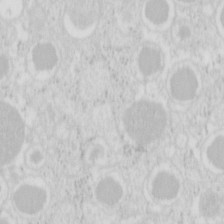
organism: Mouse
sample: Pancreas